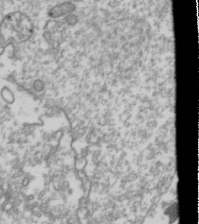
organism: Drosophila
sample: Cell division; meiosis; drosophila spermatocytes